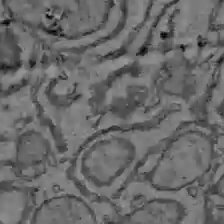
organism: C57BL Mouse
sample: Liver